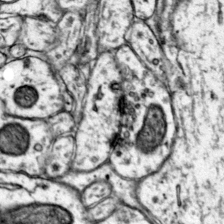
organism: Mouse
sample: Primary visual cortex